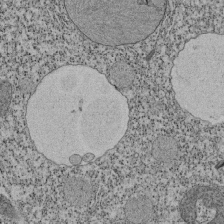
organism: Tetrahymena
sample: Cilia in tetrahymena